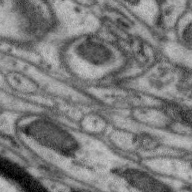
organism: Zebra finch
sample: Brain